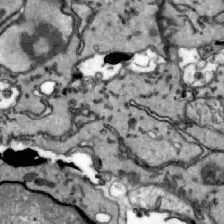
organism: Zebrafish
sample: Actinotrichia fibers